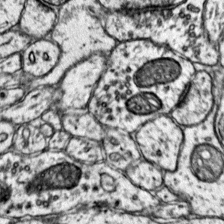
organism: Mouse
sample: Primary visual cortex